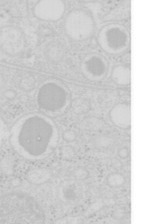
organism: Mouse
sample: Pancreas